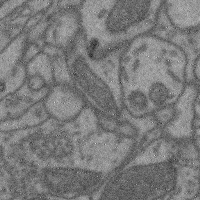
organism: Mouse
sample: Cerebral cortex